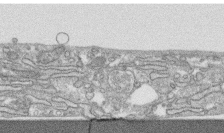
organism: Human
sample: CRL-1474